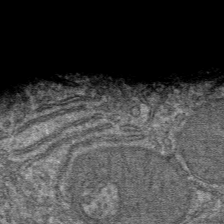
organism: Mouse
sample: Mouse hepatocytes